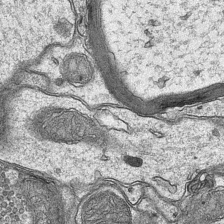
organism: Mouse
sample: CA1 Hippocampus